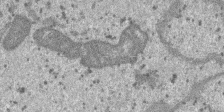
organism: Human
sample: Lung epithelial cells infected with SARS-CoV-2